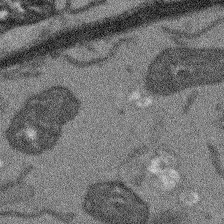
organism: Arabidopsis thaliana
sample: Root tip